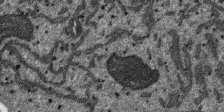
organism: Human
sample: Lung epithelial cells infected with SARS-CoV-2